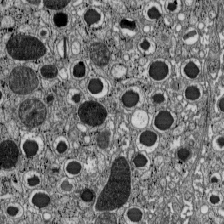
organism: C57BL Mouse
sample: Pancreatic islet